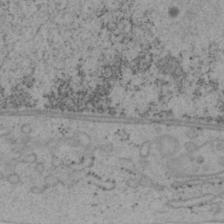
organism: Human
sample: HeLa cells